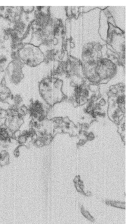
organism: Human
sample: HeLa cell HIV synapse